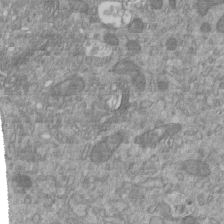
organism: Mouse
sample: ED-1 cell nuclei; centrioles